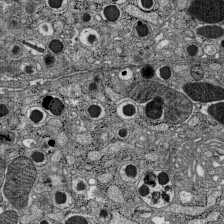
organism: C57BL Mouse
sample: Pancreatic islet